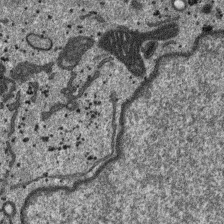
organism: Human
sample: Lung epithelial cells infected with SARS-CoV-2